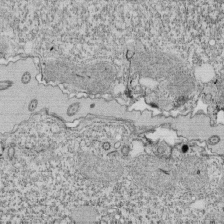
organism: Tetrahymena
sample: Cilia in tetrahymena